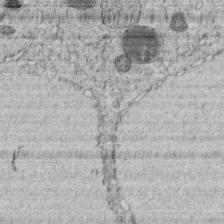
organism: C. elegans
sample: C. elegans embryo early stage